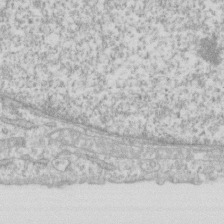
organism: Human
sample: Fibroblast cells